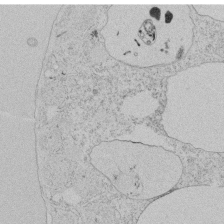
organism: Tetrahymena